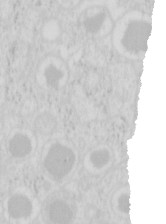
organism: Mouse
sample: Pancreas